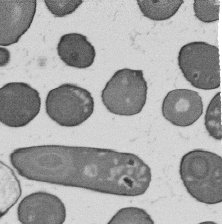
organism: B. subtilis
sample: Bacterial spore